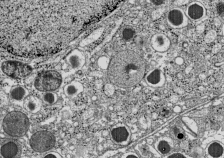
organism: C57BL Mouse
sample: Pancreatic islet